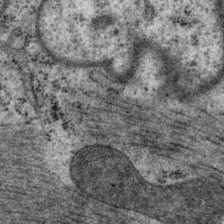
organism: P. pacificus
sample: Pharynx